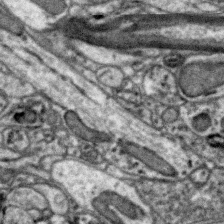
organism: Zebra finch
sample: Brain